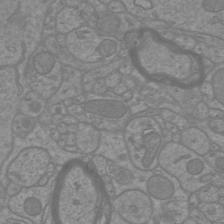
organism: Mouse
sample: Cortical neurons